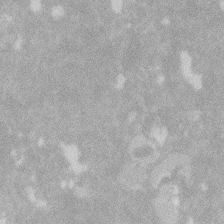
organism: Zebrafish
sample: Macrophage